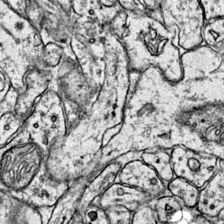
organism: Mouse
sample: Primary visual cortex